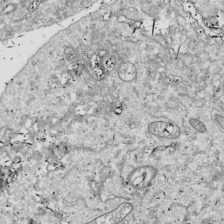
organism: Drosophila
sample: Cell division; meiosis; drosophila spermatocytes